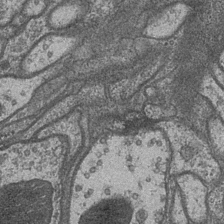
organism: Drosophila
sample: Optic medulla